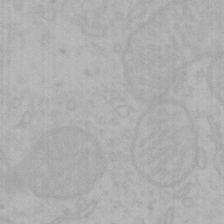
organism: Mouse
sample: Choroid plexus